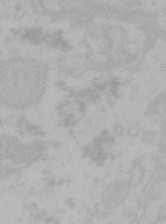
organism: Mouse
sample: Choroid plexus